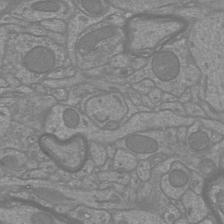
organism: Mouse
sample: Cortical neurons